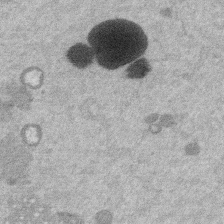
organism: Mouse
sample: Dividing mouse embryo 1 cell stage